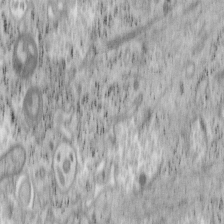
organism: Human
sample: HeLa cells